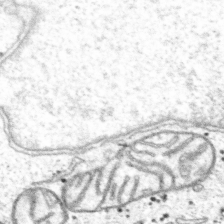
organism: Human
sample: HeLa cells